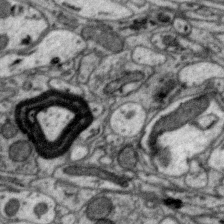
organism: Zebra finch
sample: Brain